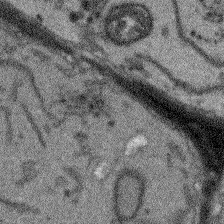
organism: Arabidopsis thaliana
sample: Root tip